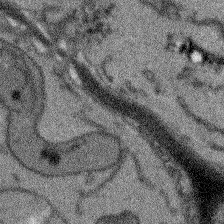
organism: Arabidopsis thaliana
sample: Root tip